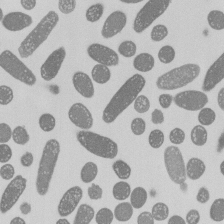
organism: E. coli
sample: Bacterial nucleoid